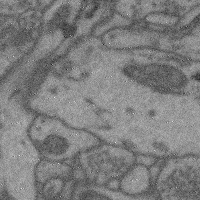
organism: Mouse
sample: Cerebral cortex